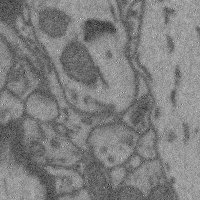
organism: Mouse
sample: Cerebral cortex